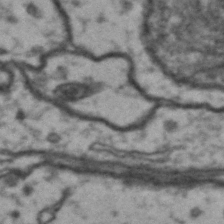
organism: Drosophila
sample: Brain